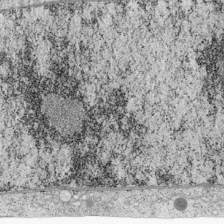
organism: African green monkey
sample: COS-7 cells